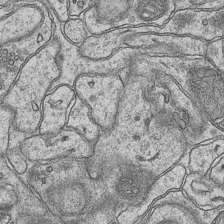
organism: Mouse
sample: CA1 Hippocampus